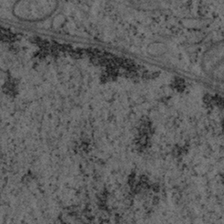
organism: Human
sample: HeLa cells